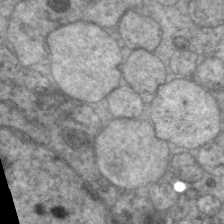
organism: C. elegans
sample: Pharynx